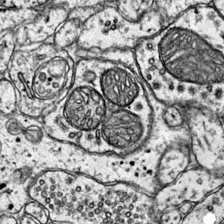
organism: Mouse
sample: Primary visual cortex